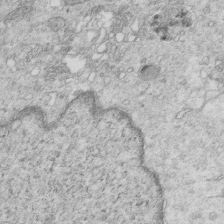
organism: Mouse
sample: Multiciliated cells